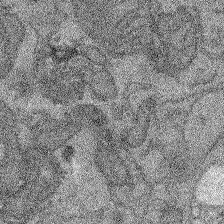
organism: Human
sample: HeLa cells